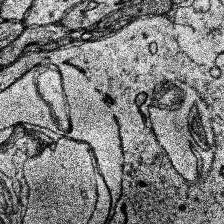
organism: Human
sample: Temporal Lobe